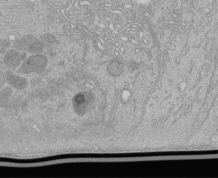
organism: Human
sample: Retinal organoid Rod and Cone cells